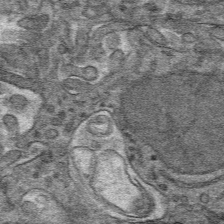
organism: Mouse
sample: Mouse hepatocytes